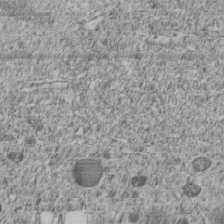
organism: C. elegans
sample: C. elegans embryo early stage